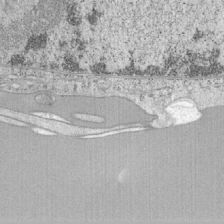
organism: Human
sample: HeLa cells